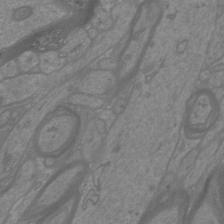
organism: Mouse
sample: Cortical neurons